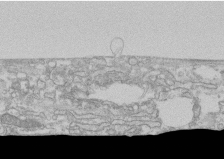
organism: Human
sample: CRL-1474